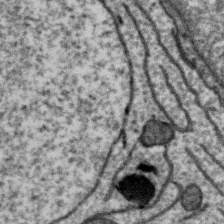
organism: Zebra finch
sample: Brain